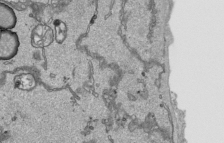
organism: Human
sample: Mitochondria in HCT116 cells